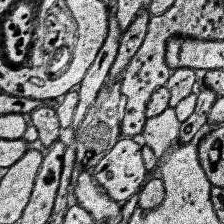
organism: Human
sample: Temporal Lobe